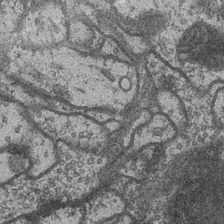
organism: Drosophila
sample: Optic medulla